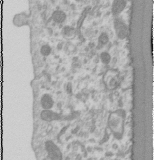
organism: Human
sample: Cilia; basal body in RPE cells